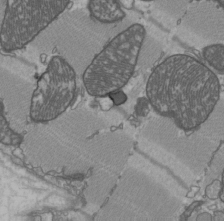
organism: C57BL Mouse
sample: Heart